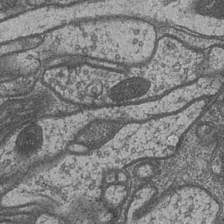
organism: Drosophila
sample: Optic medulla